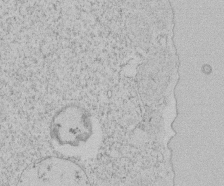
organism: Tetrahymena